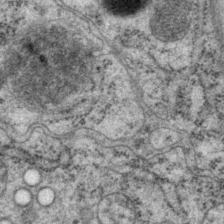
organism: P. pacificus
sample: Pharynx